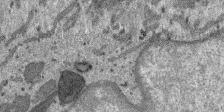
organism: Human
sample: Lung epithelial cells infected with SARS-CoV-2